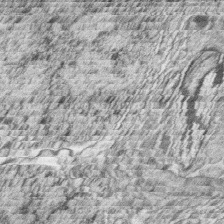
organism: Zebrafish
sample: synaptic ribbons in rod cells and cone cells